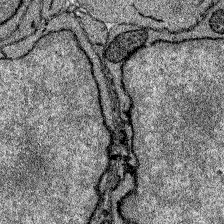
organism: Zebrafish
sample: Larval olfactory bulb